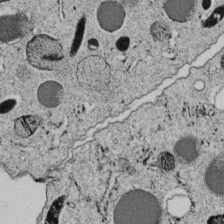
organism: C. elegans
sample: C. elegans embryo early stage